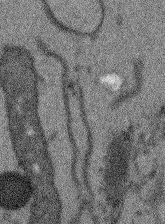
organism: Arabidopsis thaliana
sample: Root tip